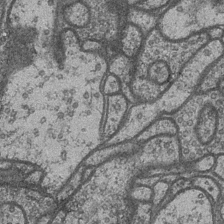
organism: Drosophila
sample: Optic medulla